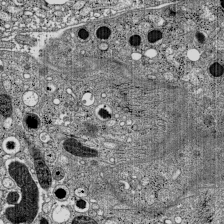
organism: C57BL Mouse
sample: Pancreatic islet